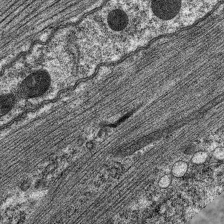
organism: C. elegans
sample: Pharynx